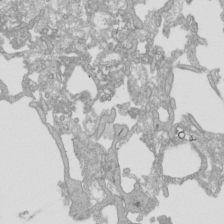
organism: Human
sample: Mitochondria in HCT116 cells